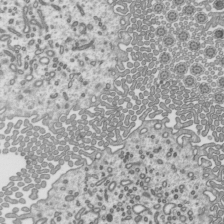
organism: Mouse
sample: Mouse epididymis efferent ductule cilia